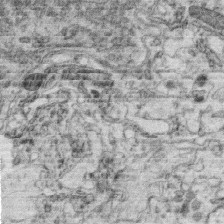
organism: C. elegans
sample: C. elegans oocyte; sperm cells